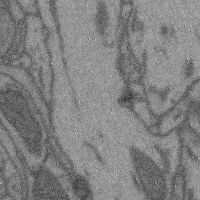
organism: Mouse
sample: Cerebral cortex